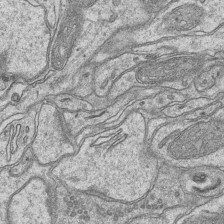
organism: Mouse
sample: CA1 Hippocampus